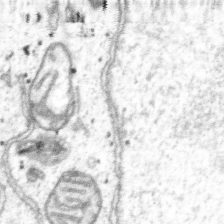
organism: Human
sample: HeLa cells